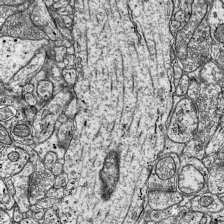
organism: Mouse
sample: Visual Cortex